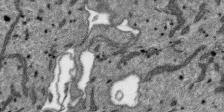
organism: Human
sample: Lung epithelial cells, uninfected (mock) control